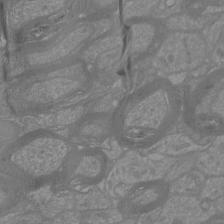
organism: Mouse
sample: Cortical neurons